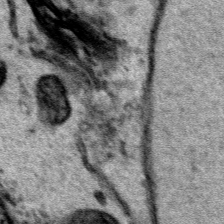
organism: Human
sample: Mitochondria in HCT116 cells